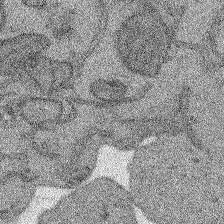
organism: Human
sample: HeLa cells